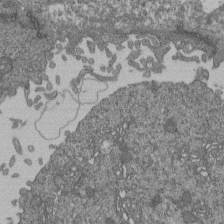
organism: Human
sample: Retinal organoid Rod and Cone cells